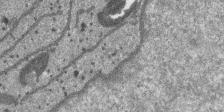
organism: Human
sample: Lung epithelial cells infected with SARS-CoV-2